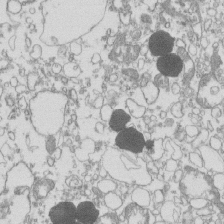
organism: Mouse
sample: Macrophages